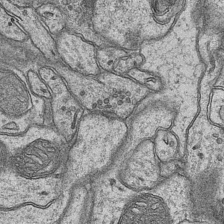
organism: Mouse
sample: CA1 Hippocampus